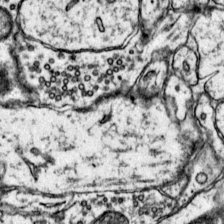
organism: Mouse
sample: Primary visual cortex